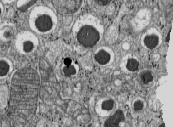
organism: C57BL Mouse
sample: Pancreatic islet